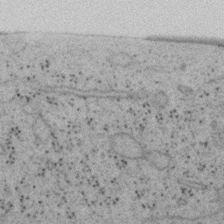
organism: Human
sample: HeLa cells